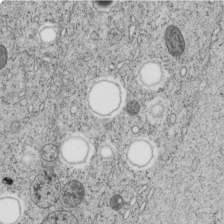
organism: C. elegans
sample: C. elegans embryo early stage